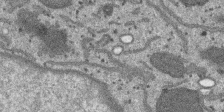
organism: Human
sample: Lung epithelial cells infected with SARS-CoV-2